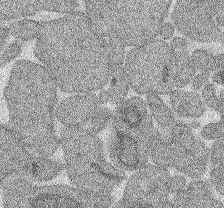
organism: Human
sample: HeLa cells